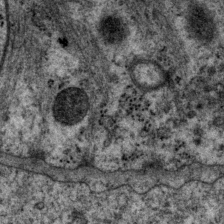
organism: P. pacificus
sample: Pharynx